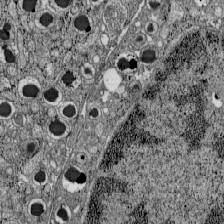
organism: C57BL Mouse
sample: Pancreatic islet